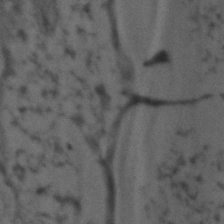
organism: Zebrafish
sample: Zebrafish embryo